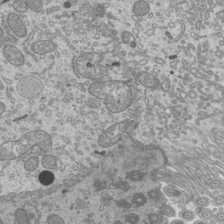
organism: Mouse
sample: Cilia; mouse epididymis